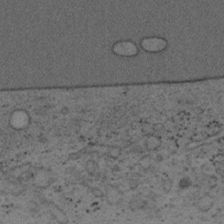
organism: Human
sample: HeLa cells